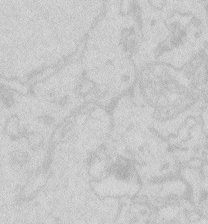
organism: Zebrafish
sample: Macrophage